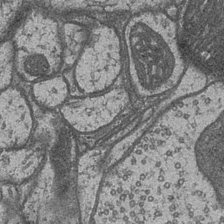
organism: Drosophila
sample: Optic medulla